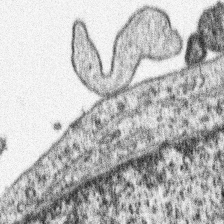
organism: Human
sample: HeLa cells